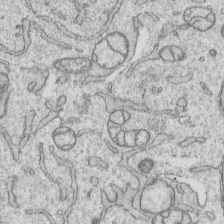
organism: Human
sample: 1205lu cells